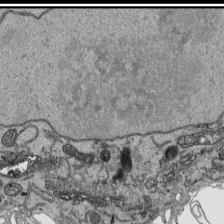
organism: Human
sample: Mitochondria in HCT116 cells